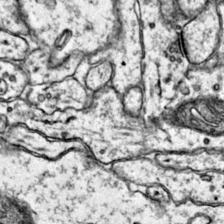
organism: Mouse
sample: Primary visual cortex